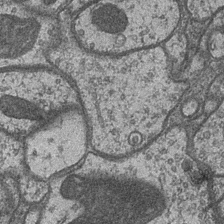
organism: Drosophila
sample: Optic medulla